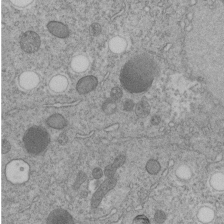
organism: C. elegans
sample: C. elegans embryo early stage